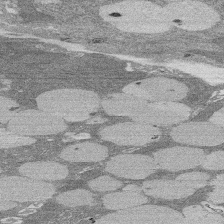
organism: Rat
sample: Salivary granule